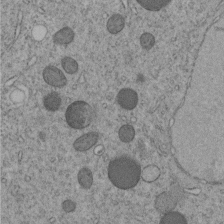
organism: C. elegans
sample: C. elegans embryo early stage